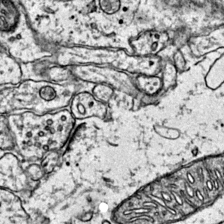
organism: Mouse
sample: Primary visual cortex